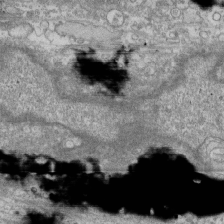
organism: Human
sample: Fibroblast cells